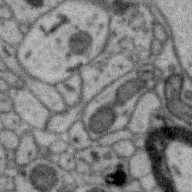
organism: Zebra finch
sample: Brain